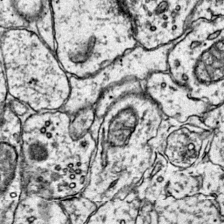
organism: Mouse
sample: Primary visual cortex